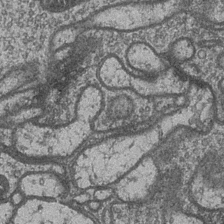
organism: Drosophila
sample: Optic medulla